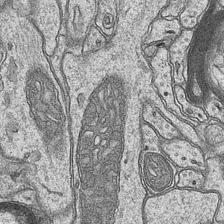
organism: Mouse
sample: CA1 Hippocampus